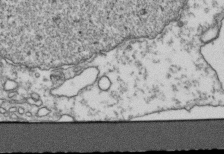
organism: Human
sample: Activated Jurkat CD4+ T cells